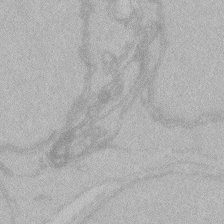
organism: Zebrafish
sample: Macrophage infected with Toxoplasma gondii